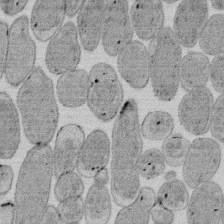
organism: E. coli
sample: Bacterial nucleoid